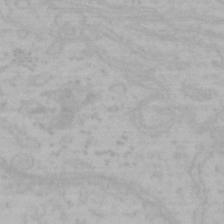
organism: Mouse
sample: Choroid plexus